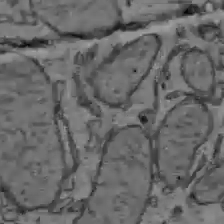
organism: C57BL Mouse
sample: Liver